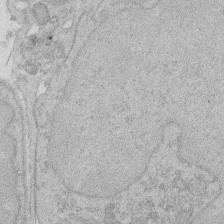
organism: Rat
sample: Salivary granule